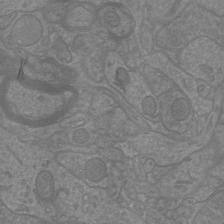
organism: Mouse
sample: Cortical neurons